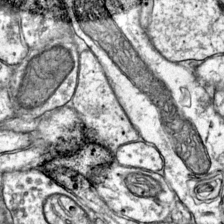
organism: Mouse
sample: Primary visual cortex